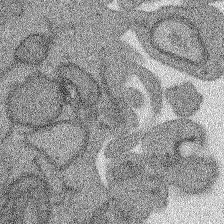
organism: Human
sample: HeLa cells